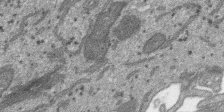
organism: Human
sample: Lung epithelial cells infected with SARS-CoV-2